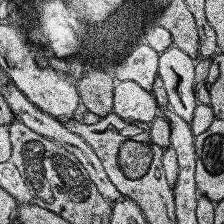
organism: Human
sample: Temporal Lobe